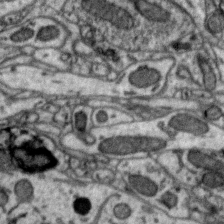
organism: Zebra finch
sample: Brain